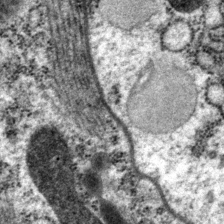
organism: P. pacificus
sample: Pharynx